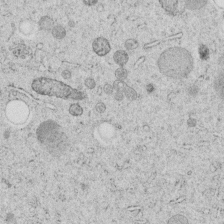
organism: C. elegans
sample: C. elegans embryo early stage